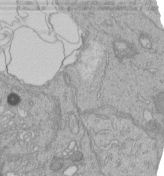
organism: Human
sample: Retinal organoid Rod and Cone cells